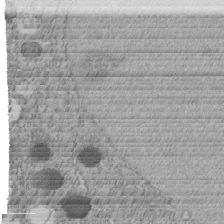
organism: C. elegans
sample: C. elegans embryo early stage